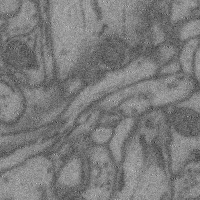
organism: Mouse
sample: Cerebral cortex